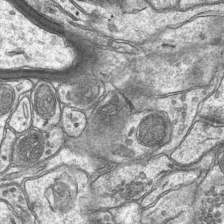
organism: Mouse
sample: CA1 Hippocampus